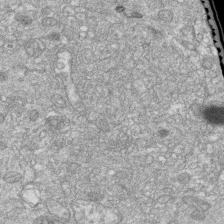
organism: Human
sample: HeLa cell HIV synapse